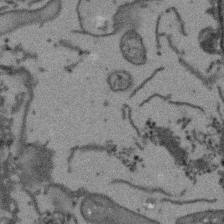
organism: Arabidopsis thaliana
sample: Root tip